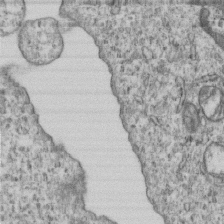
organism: Human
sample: MDA-MB-231 cells